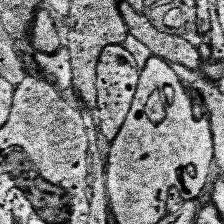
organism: Human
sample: Temporal Lobe